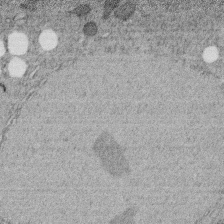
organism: C. elegans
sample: C. elegans embryo early stage